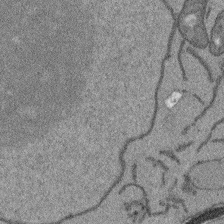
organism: Arabidopsis thaliana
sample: Root tip